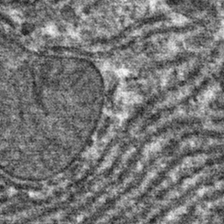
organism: Mouse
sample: Mouse hepatocytes